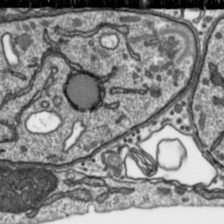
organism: Toxoplasma gondii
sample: Parasites in a vacuole inside a host cell